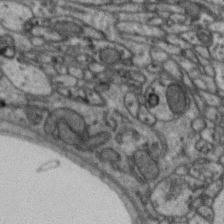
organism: Zebra finch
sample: Brain